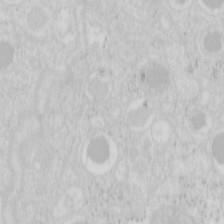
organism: Mouse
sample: Pancreas